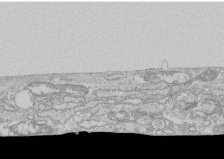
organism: Human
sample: CRL-1474